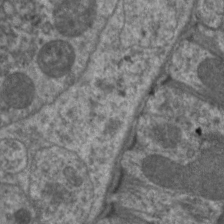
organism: C. elegans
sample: Pharynx